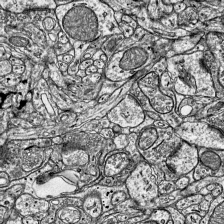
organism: Mouse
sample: Visual Cortex